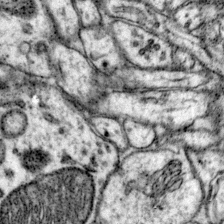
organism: Mouse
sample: Primary visual cortex